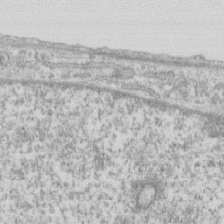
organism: Human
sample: CRL-1474